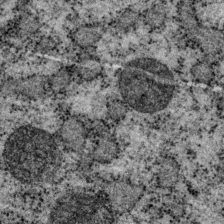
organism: P. pacificus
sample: Pharynx